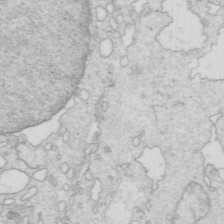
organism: Mouse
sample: Multiciliated cells